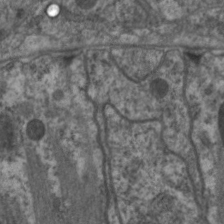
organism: C. elegans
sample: Pharynx